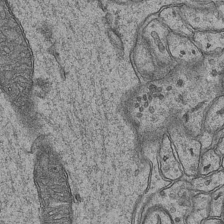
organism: Mouse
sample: CA1 Hippocampus